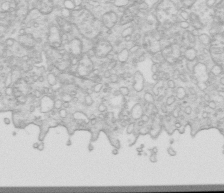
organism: Mouse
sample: Multiciliated cells